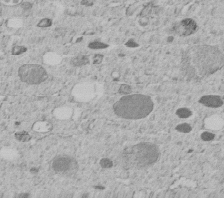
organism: C. elegans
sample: C. elegans embryo early stage